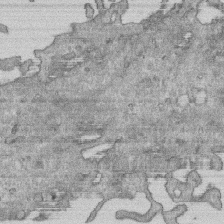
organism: Human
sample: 1205lu cells